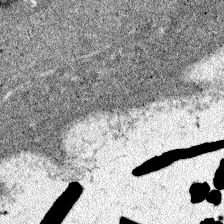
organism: Zebrafish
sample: Larval olfactory bulb